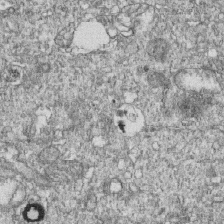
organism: Human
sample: HeLa cell HIV synapse